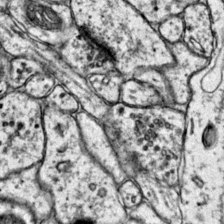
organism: Mouse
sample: Primary visual cortex